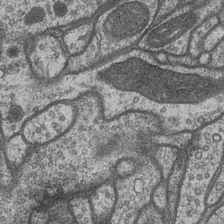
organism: Drosophila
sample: Optic medulla